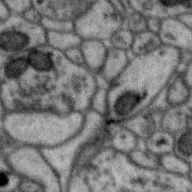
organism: Zebra finch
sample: Brain